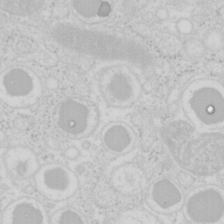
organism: Mouse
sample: Pancreas